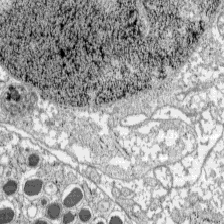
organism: C57BL Mouse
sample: Pancreatic islet